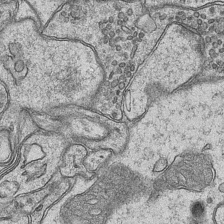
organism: Mouse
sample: CA1 Hippocampus